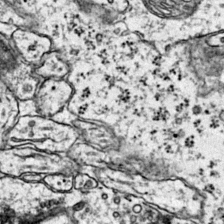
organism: Mouse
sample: Primary visual cortex